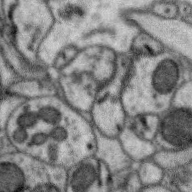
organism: Zebra finch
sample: Brain